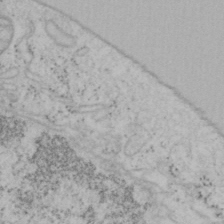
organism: Human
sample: HeLa cells